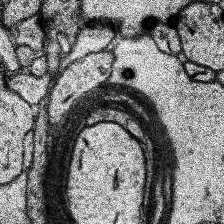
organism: Human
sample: Temporal Lobe